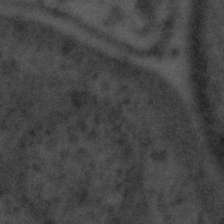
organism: Tuwongella immobilis